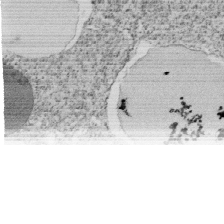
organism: Tetrahymena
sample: Cilia in tetrahymena